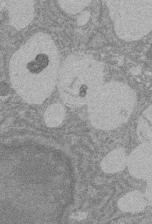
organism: Rat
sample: Salivary granule